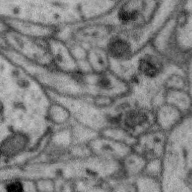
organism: Zebra finch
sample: Brain